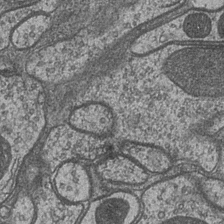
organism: Drosophila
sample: Optic medulla